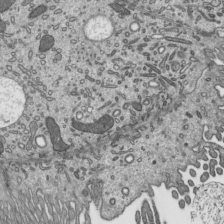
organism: Mouse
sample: Mouse epididymis efferent ductule cilia